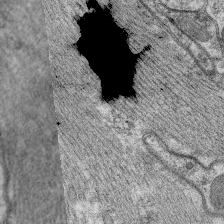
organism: C. elegans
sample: Pharynx